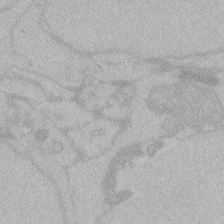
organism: Zebrafish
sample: Macrophage infected with Toxoplasma gondii